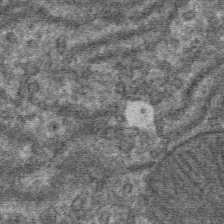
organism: Mouse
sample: Mouse hepatocytes